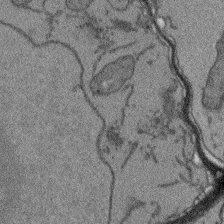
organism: Arabidopsis thaliana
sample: Root tip